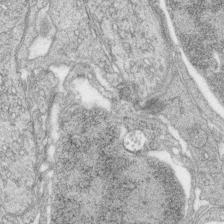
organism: Zebrafish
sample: synaptic ribbons in rod cells and cone cells